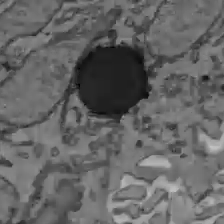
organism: C57BL Mouse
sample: Liver